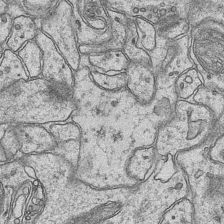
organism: Mouse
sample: CA1 Hippocampus